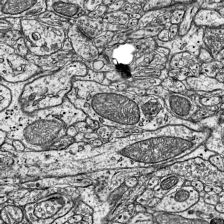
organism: Mouse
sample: Visual Cortex